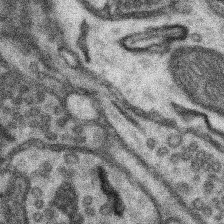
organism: Mouse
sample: Somatosensory cortex neuropil